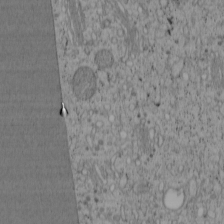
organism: African green monkey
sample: COS-7 cells